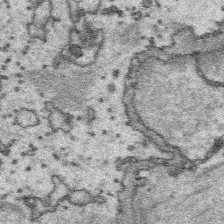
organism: Platynereis dumerilii